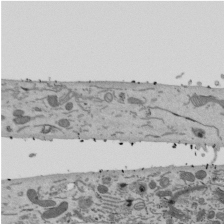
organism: Mouse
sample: ED-1 cell nuclei; centrioles